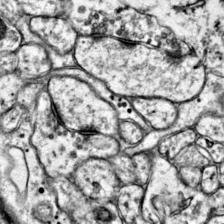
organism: Mouse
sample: Primary visual cortex